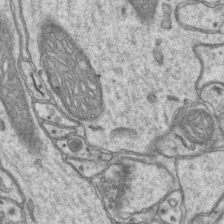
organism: Mouse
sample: CA1 Hippocampus